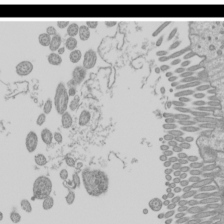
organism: Mouse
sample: Cilia; mouse epididymis